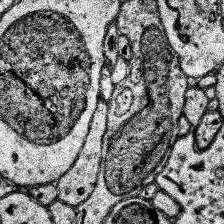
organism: Human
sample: Temporal Lobe